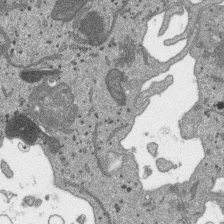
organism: Human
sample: Lung epithelial cells infected with SARS-CoV-2